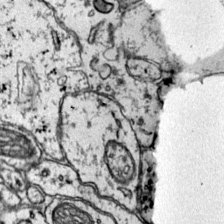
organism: Mouse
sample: Primary visual cortex